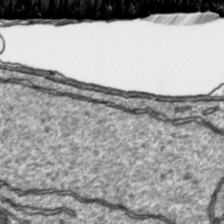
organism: Toxoplasma gondii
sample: Parasites in a vacuole inside a host cell